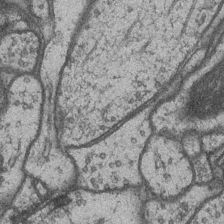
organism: Drosophila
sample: Optic medulla